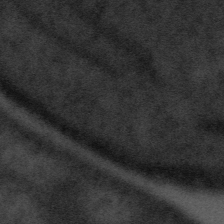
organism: Tuwongella immobilis